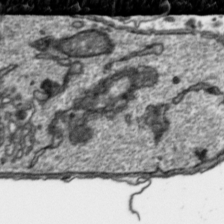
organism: Toxoplasma gondii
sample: Parasites in a vacuole inside a host cell